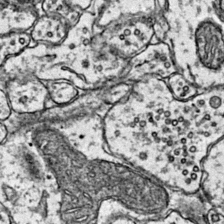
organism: Mouse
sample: Primary visual cortex